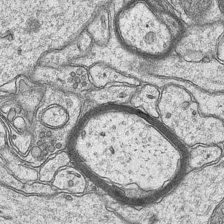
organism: Mouse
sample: CA1 Hippocampus